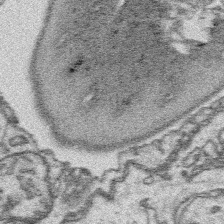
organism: Platynereis dumerilii